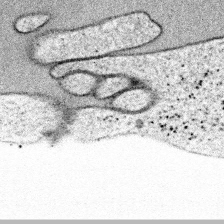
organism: Human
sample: HeLa cells